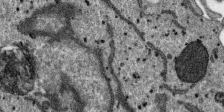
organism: Human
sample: Lung epithelial cells, uninfected (mock) control